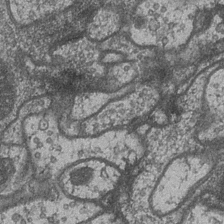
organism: Drosophila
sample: Optic medulla